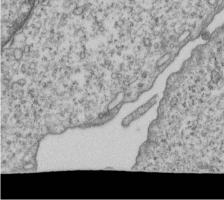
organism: Human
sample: MDA-MB-231 cells